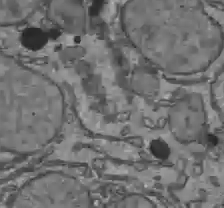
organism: C57BL Mouse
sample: Liver